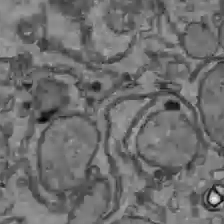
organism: C57BL Mouse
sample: Liver